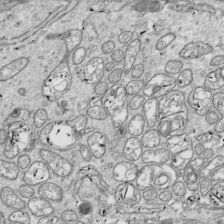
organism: Drosophila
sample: Cell division; meiosis; drosophila spermatocytes